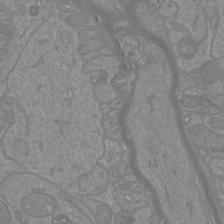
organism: Mouse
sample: Cortical neurons